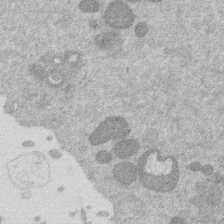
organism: Mouse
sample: Dividing mouse embryo 1 cell stage